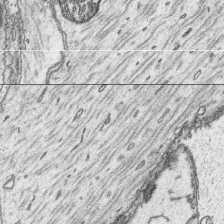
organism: Platynereis dumerilii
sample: Parapodia